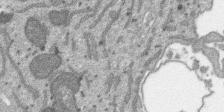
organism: Human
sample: Lung epithelial cells infected with SARS-CoV-2